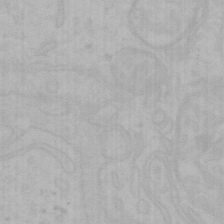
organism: Mouse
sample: Choroid plexus